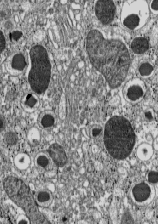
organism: C57BL Mouse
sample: Pancreatic islet